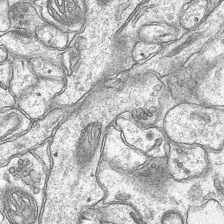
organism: Mouse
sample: CA1 Hippocampus